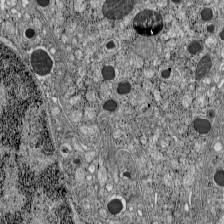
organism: C57BL Mouse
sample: Pancreatic islet